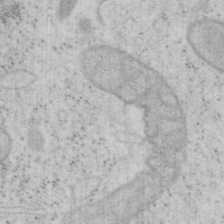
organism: Human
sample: HeLa cells